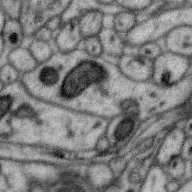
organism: Zebra finch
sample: Brain